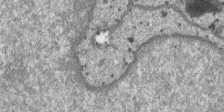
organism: Human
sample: Lung epithelial cells infected with SARS-CoV-2